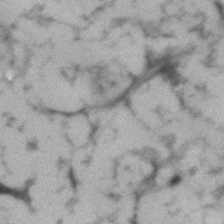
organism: Human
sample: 1205lu cells